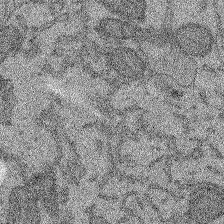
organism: Human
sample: HeLa cells